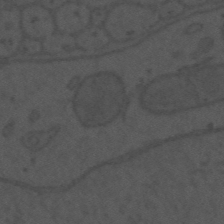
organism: Mouse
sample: Suprachiasmatic nucleus